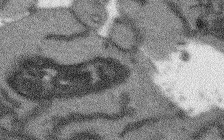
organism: Arabidopsis thaliana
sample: Root tip